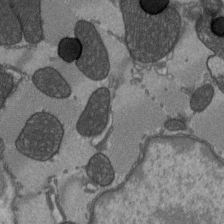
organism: C57BL Mouse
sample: Heart